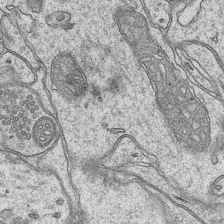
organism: Mouse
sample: CA1 Hippocampus